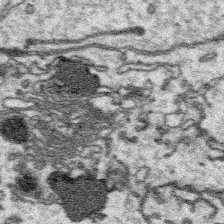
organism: Platynereis dumerilii